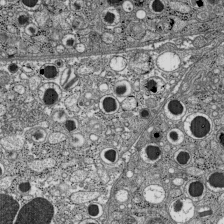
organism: C57BL Mouse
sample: Pancreatic islet